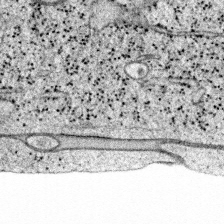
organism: Human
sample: HeLa cells